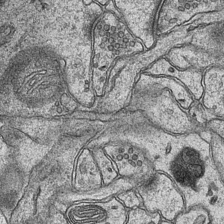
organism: Mouse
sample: CA1 Hippocampus